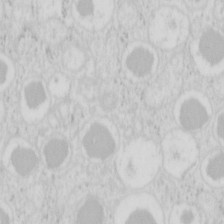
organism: Mouse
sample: Pancreas